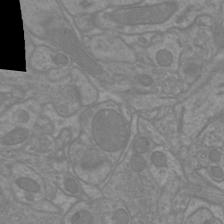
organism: Mouse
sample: Cortical neurons